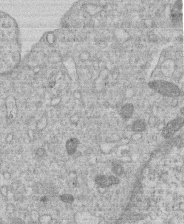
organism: Human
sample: Macrophage cells